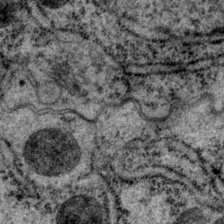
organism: P. pacificus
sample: Pharynx